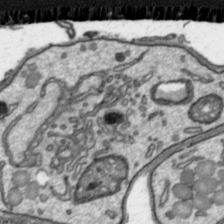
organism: Toxoplasma gondii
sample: Parasites in a vacuole inside a host cell